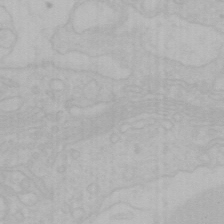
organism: Mouse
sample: Choroid plexus